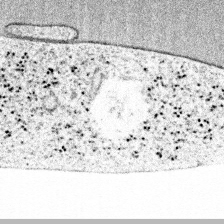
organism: Human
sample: HeLa cells